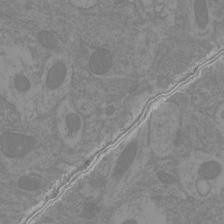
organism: Mouse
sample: Cortical neurons